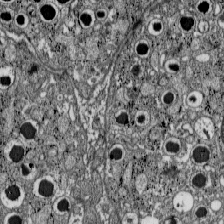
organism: C57BL Mouse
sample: Pancreatic islet